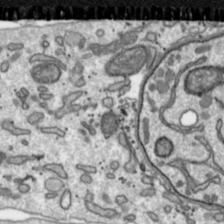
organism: Toxoplasma gondii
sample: Parasites in a vacuole inside a host cell